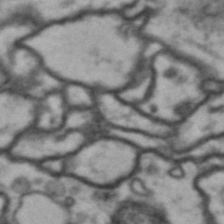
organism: Drosophila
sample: Brain